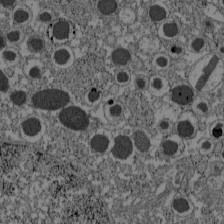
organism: C57BL Mouse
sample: Pancreatic islet